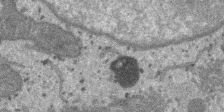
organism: Human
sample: Lung epithelial cells infected with SARS-CoV-2